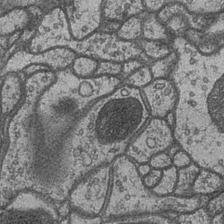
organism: Drosophila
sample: Optic medulla